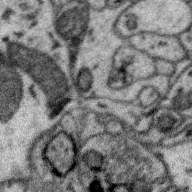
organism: Zebra finch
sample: Brain